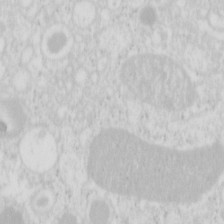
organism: Mouse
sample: Pancreas